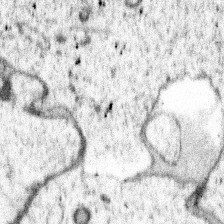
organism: Human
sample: HeLa cells